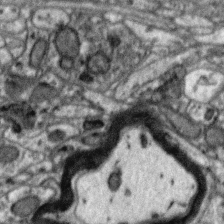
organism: Zebra finch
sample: Brain